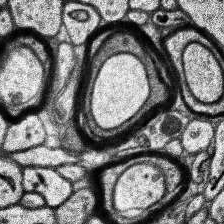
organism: Human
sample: Temporal Lobe